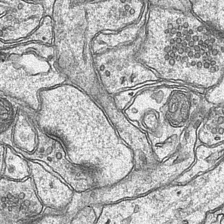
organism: Mouse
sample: CA1 Hippocampus